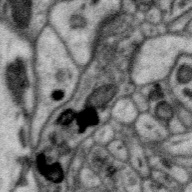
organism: Zebra finch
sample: Brain